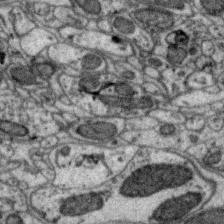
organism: Zebra finch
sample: Brain